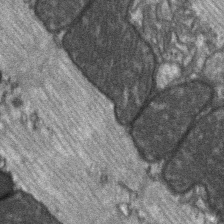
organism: C57BL Mouse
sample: Soleus